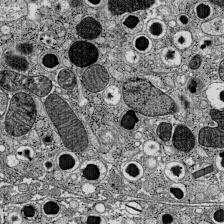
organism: C57BL Mouse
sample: Pancreatic islet